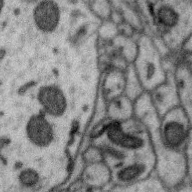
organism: Zebra finch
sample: Brain